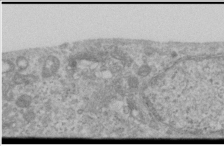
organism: Human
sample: Cilia; basal body in RPE cells